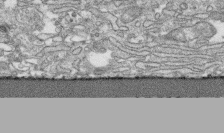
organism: Human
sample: CRL-1474